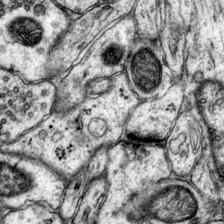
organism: Mouse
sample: Primary visual cortex